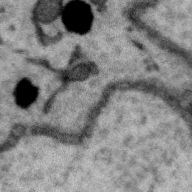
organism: Zebra finch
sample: Brain